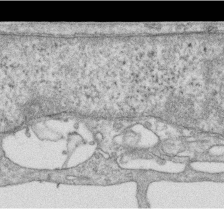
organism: Human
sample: Centriole in RPE cells